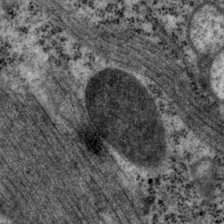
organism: P. pacificus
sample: Pharynx